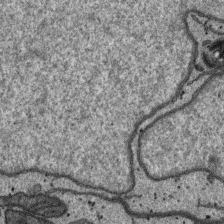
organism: Human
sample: Lung epithelial cells, uninfected (mock) control